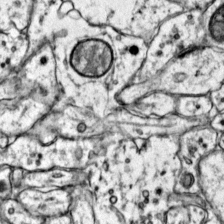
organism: Mouse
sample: Primary visual cortex